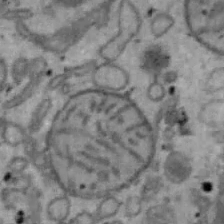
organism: Mouse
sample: Liver